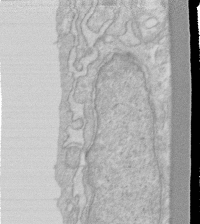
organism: Human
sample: Fibroblast cells